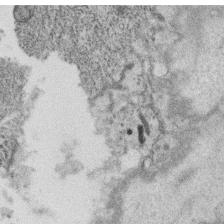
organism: C. elegans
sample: C. elegans oocyte; sperm cells